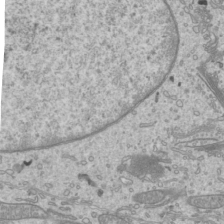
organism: Mouse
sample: Cilia; mouse epididymis